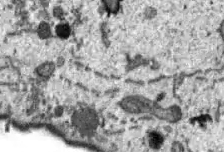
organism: Human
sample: HeLa cells